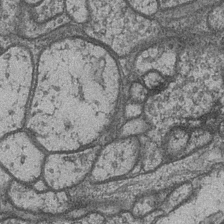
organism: Drosophila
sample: Optic medulla